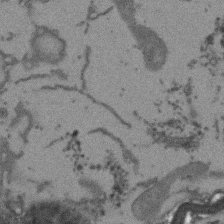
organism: Arabidopsis thaliana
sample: Root tip